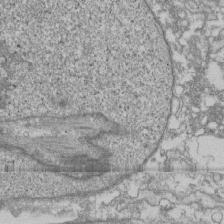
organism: Human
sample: Fibroblast cells